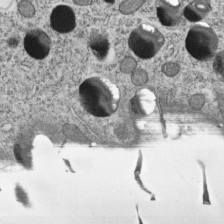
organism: C. elegans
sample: C. elegans embryo early stage